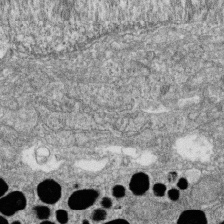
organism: Zebrafish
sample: Cilia; retinal pigment epithelium